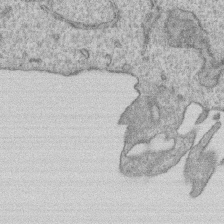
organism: Human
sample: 1205lu cells